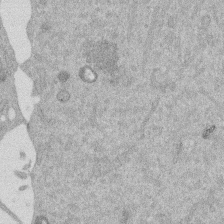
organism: Mouse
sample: Dividing mouse embryo 1 cell stage